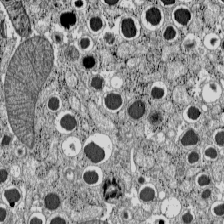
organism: C57BL Mouse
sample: Pancreatic islet